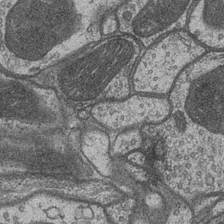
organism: Drosophila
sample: Optic medulla